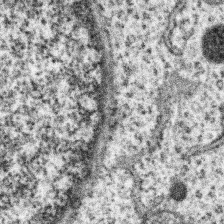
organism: Human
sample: HeLa cells